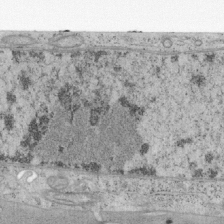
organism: Human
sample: HeLa cells